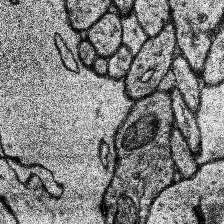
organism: Human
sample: Temporal Lobe